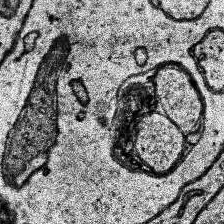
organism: Human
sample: Temporal Lobe